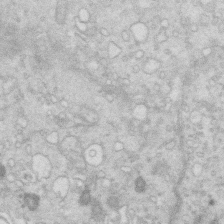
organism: Mouse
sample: Multiciliated cells